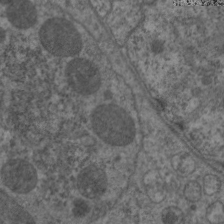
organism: C. elegans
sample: Pharynx